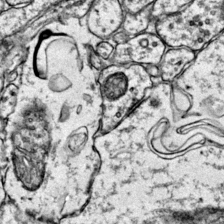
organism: Mouse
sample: Primary visual cortex